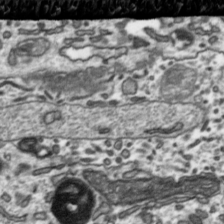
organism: Toxoplasma gondii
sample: Parasites in a vacuole inside a host cell